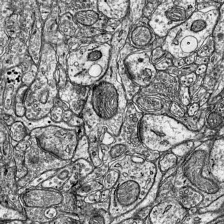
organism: Mouse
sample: Visual Cortex